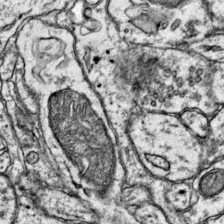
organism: Mouse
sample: Primary visual cortex